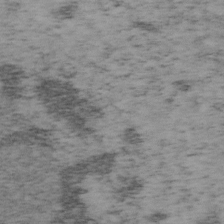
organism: Mouse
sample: OT-I killer T cells with ID8 ovarian cancer cells